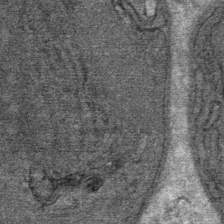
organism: Mouse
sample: Mouse Salivary gland